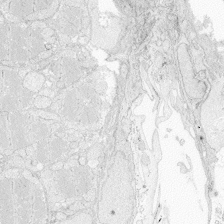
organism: Zebrafish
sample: Whole-Brain